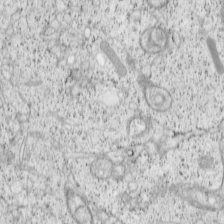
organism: African green monkey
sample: COS-7 cells